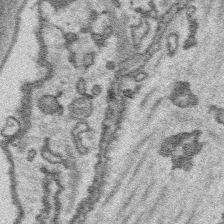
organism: Platynereis dumerilii